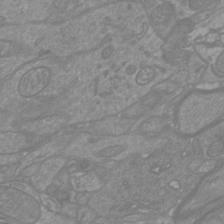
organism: Mouse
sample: Cortical neurons